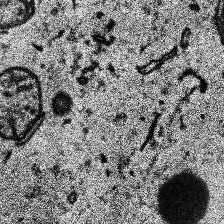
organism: Human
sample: Temporal Lobe